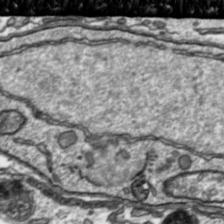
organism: Toxoplasma gondii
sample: Parasites in a vacuole inside a host cell